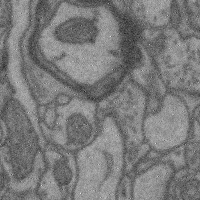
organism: Mouse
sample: Cerebral cortex